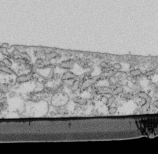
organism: Mouse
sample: Cilia; retinal pigment epithelium